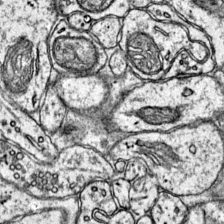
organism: Mouse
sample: Primary visual cortex